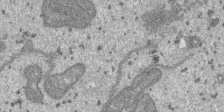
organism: Human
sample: Lung epithelial cells infected with SARS-CoV-2